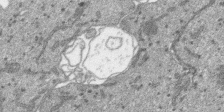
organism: Human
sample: Lung epithelial cells infected with SARS-CoV-2